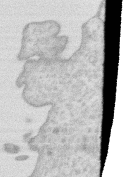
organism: Human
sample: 1205lu cells